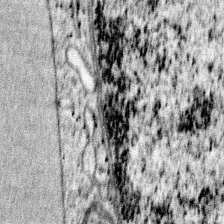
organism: Human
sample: HeLa cells